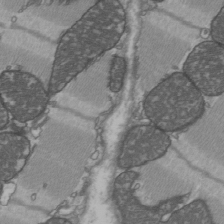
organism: C57BL Mouse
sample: Heart